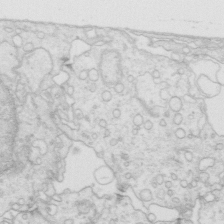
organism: Mouse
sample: Multiciliated cells